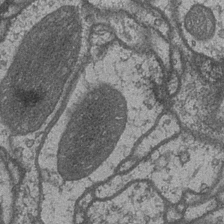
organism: Drosophila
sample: Optic medulla